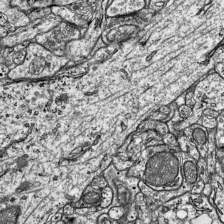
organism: Mouse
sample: Visual Cortex